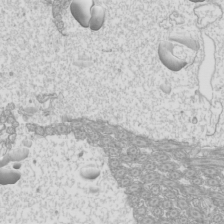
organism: Mouse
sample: Cilia; mouse epididymis